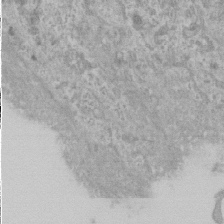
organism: Human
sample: Cilia; basal body in RPE cells